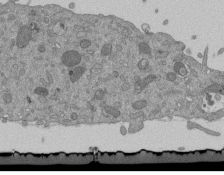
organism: Mouse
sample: ED-1 cell nuclei; centrioles